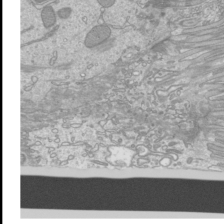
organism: Mouse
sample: Cilia; mouse epididymis